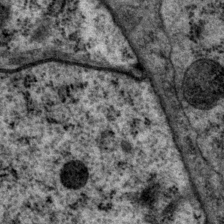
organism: P. pacificus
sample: Pharynx